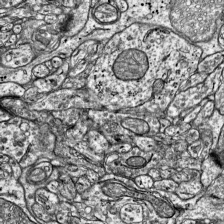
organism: Mouse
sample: Visual Cortex